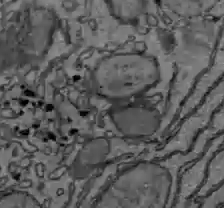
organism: C57BL Mouse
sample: Liver